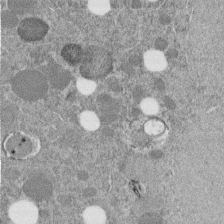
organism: C. elegans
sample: C. elegans embryo early stage